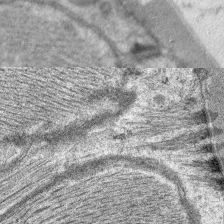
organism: C. elegans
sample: Pharynx